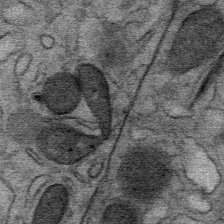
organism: Mouse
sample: Mouse Salivary gland